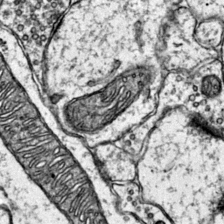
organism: Mouse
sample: Primary visual cortex